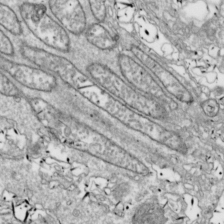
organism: Drosophila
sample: Cell division; meiosis; drosophila spermatocytes